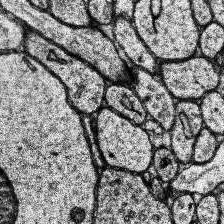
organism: Human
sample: Temporal Lobe